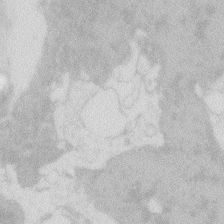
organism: Zebrafish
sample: Macrophage